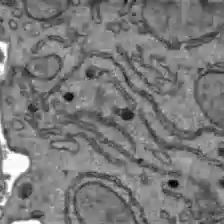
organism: C57BL Mouse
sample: Liver